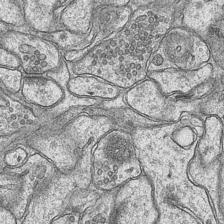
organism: Mouse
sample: CA1 Hippocampus